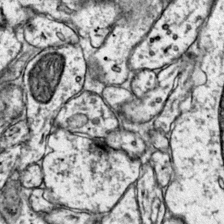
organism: Mouse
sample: Primary visual cortex